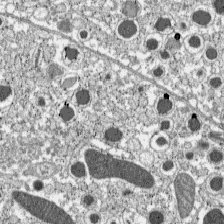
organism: C57BL Mouse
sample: Pancreatic islet